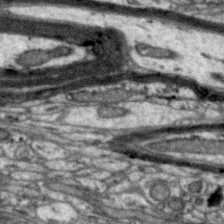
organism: Zebra finch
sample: Brain